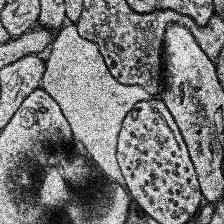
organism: Human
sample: Temporal Lobe